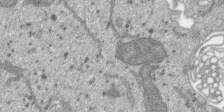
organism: Human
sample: Lung epithelial cells infected with SARS-CoV-2